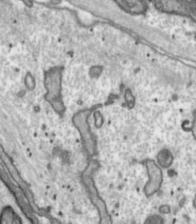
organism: Toxoplasma gondii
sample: Parasites in a vacuole inside a host cell